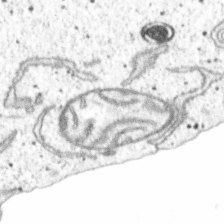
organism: Human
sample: HeLa cells